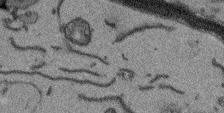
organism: Arabidopsis thaliana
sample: Root tip